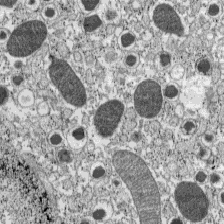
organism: C57BL Mouse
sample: Pancreatic islet